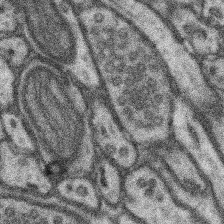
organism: Mouse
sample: Somatosensory cortex neuropil